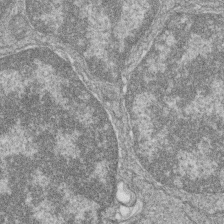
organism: Zebrafish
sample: Cilia; retinal pigment epithelium